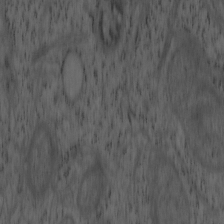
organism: Human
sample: HeLa cells